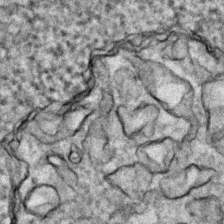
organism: Zebrafish